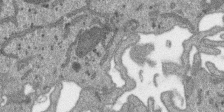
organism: Human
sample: Lung epithelial cells infected with SARS-CoV-2